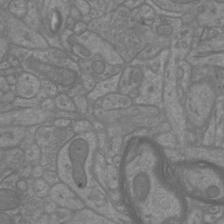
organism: Mouse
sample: Cortical neurons